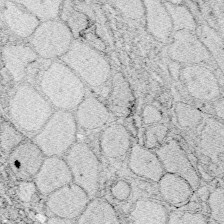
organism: Zebrafish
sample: Whole-Brain